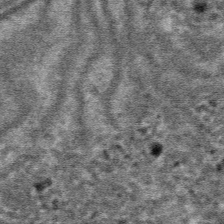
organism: Mouse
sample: Mouse hepatocytes